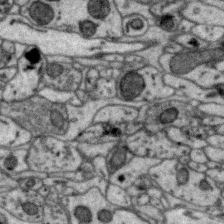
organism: Zebra finch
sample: Brain